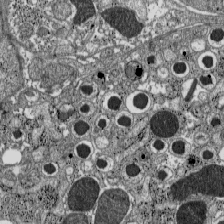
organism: C57BL Mouse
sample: Pancreatic islet